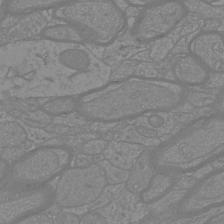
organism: Mouse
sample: Cortical neurons